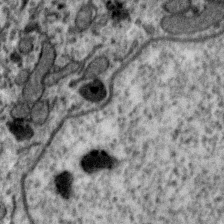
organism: Zebra finch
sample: Brain